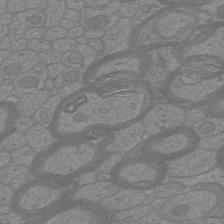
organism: Mouse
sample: Cortical neurons